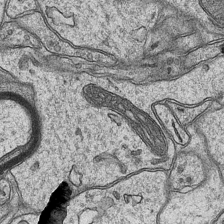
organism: Mouse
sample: CA1 Hippocampus